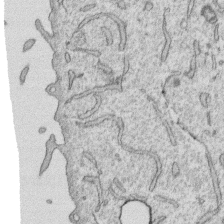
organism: Human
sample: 1205lu cells